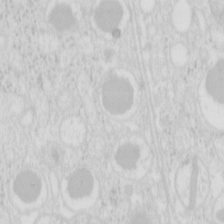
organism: Mouse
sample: Pancreas